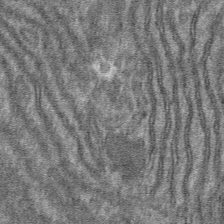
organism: Mouse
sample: Mouse hepatocytes